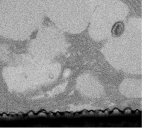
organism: Rat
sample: Salivary granule